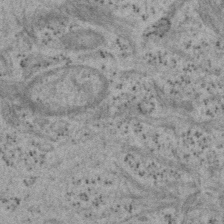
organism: Human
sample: HeLa cells